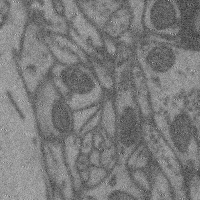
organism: Mouse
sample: Cerebral cortex